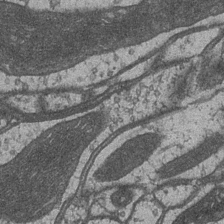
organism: Drosophila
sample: Optic medulla